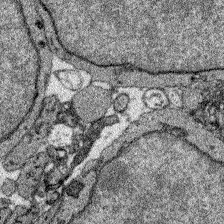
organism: Zebrafish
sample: Larval olfactory bulb